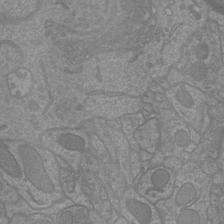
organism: Mouse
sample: Cortical neurons